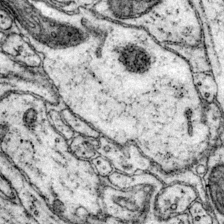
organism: Mouse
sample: Primary visual cortex